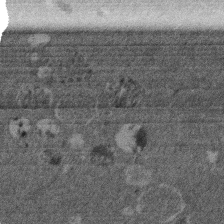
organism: Mouse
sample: Dividing mouse embryo 1 cell stage